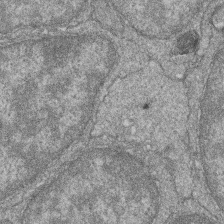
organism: Zebrafish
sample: Cilia; retinal pigment epithelium